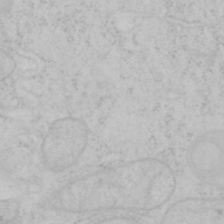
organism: Mouse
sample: OT-I killer T cells with ID8 ovarian cancer cells